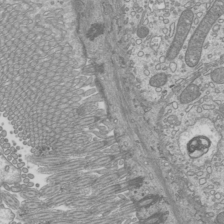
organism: Mouse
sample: Cilia; mouse epididymis